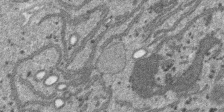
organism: Human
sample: Lung epithelial cells infected with SARS-CoV-2